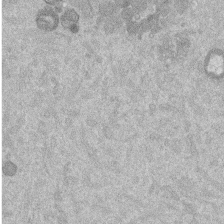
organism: Mouse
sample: Dividing mouse embryo 1 cell stage